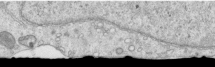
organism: Human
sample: Centriole in RPE cells